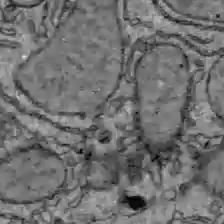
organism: C57BL Mouse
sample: Liver